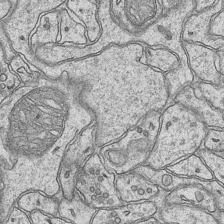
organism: Mouse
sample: CA1 Hippocampus